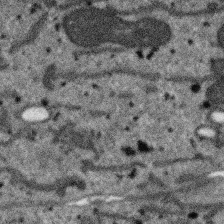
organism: Human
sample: Lung epithelial cells infected with SARS-CoV-2